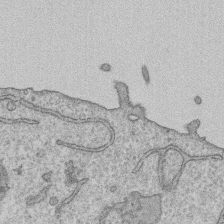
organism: Human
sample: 1205lu cells